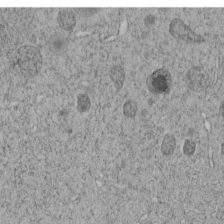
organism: C. elegans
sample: C. elegans embryo early stage